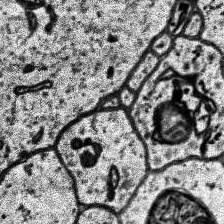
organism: Human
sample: Temporal Lobe